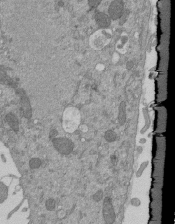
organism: Mouse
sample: ED-1 cell nuclei; centrioles